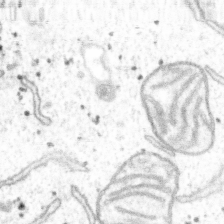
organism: Human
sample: HeLa cells